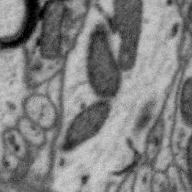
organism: Zebra finch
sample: Brain